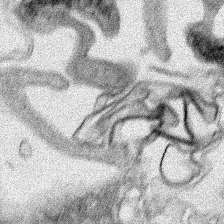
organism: Human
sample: Mitochondria in HCT116 cells